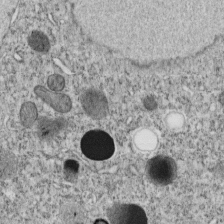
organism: C. elegans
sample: C. elegans embryo early stage